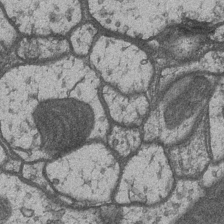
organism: Drosophila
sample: Optic medulla